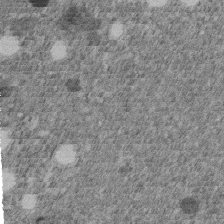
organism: C. elegans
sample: C. elegans embryo early stage